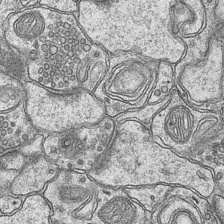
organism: Mouse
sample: CA1 Hippocampus